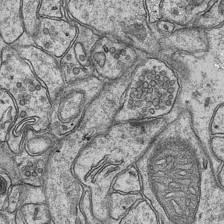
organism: Mouse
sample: CA1 Hippocampus